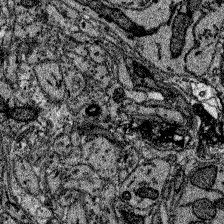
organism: Zebrafish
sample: Larval olfactory bulb